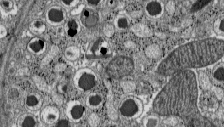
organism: C57BL Mouse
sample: Pancreatic islet